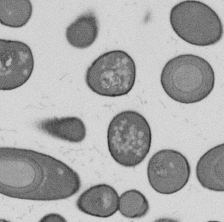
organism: B. subtilis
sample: Bacterial spore